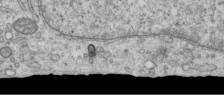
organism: Human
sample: Centriole in RPE cells